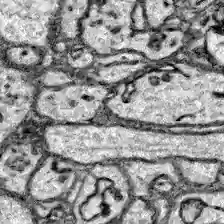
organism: Zebrafish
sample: Brain